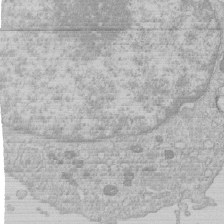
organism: Human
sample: Macrophage cells